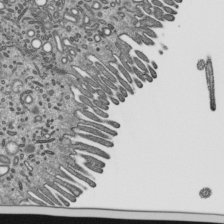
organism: Mouse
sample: Mouse epididymis efferent ductule cilia